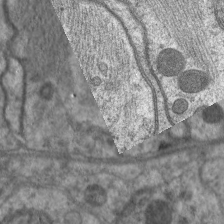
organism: C. elegans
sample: Pharynx